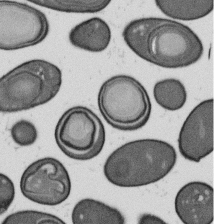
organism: B. subtilis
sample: Bacterial spore